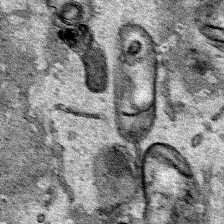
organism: Human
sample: Mitochondria in HCT116 cells